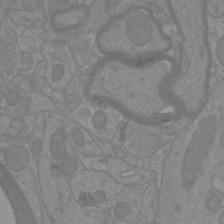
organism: Mouse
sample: Cortical neurons